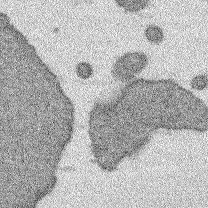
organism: Human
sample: HeLa cells